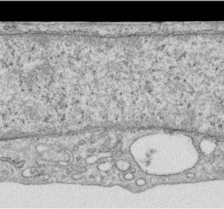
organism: Human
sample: Centriole in RPE cells